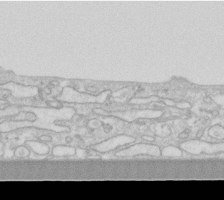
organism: Human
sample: Fibroblast cells